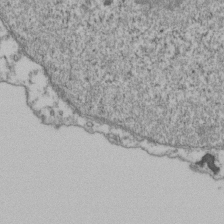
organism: Human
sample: Activated Jurkat CD4+ T cells